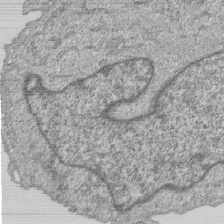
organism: Human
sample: MDA-MB-231 cells